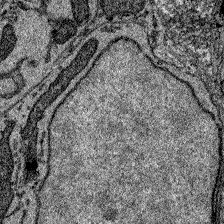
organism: Zebrafish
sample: Larval olfactory bulb